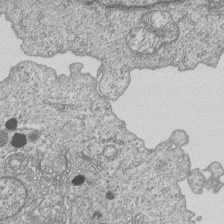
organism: Human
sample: MDA-MB-231 cells